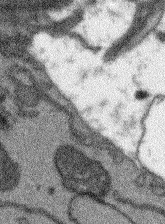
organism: Arabidopsis thaliana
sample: Root tip